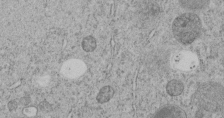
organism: C. elegans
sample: C. elegans embryo early stage